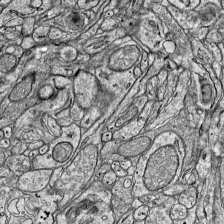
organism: Mouse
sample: Visual Cortex